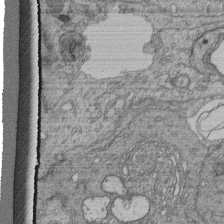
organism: Human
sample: Retinal organoid Rod and Cone cells